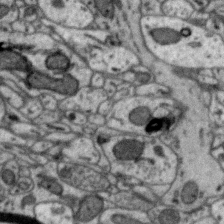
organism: Zebra finch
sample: Brain